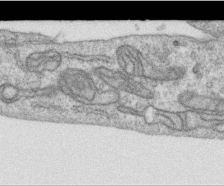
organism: Human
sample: Centriole in RPE cells